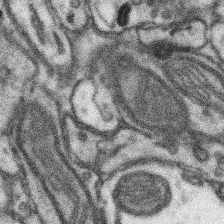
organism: Mouse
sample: Somatosensory cortex neuropil